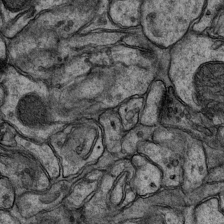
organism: Mouse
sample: CA1 Hippocampus